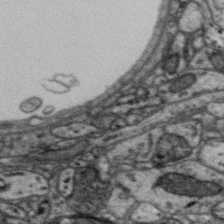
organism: Zebra finch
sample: Brain